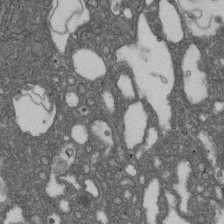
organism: Drosophila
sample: Nephrocyte